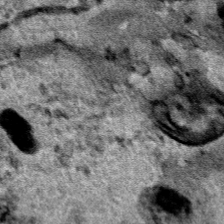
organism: Human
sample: Mitochondria in HCT116 cells